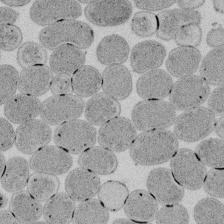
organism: E. coli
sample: Bacterial nucleoid